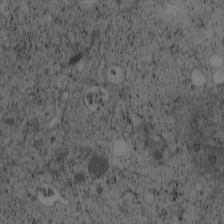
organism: African green monkey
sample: COS-7 cells